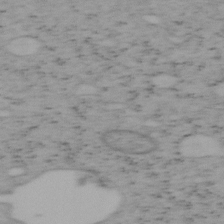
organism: Mouse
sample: OT-I killer T cells with ID8 ovarian cancer cells